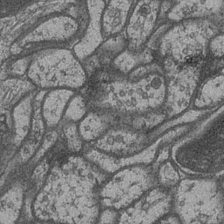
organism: Drosophila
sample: Optic medulla